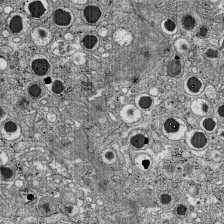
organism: C57BL Mouse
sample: Pancreatic islet